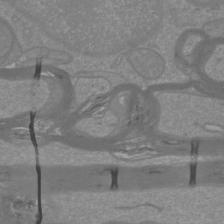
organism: Mouse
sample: Cortical neurons